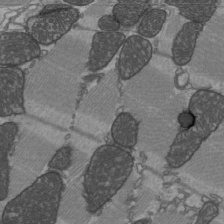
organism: C57BL Mouse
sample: Heart